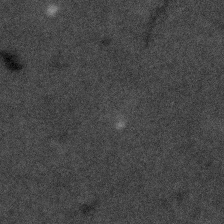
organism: Human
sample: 1205lu cells